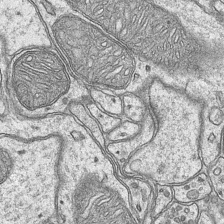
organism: Mouse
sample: CA1 Hippocampus